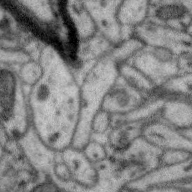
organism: Zebra finch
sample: Brain